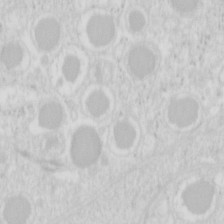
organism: Mouse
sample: Pancreas